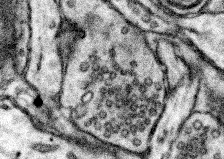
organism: Mouse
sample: Somatosensory cortex neuropil